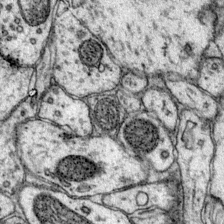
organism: Mouse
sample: Primary visual cortex